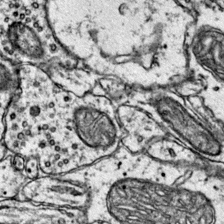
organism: Mouse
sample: Primary visual cortex